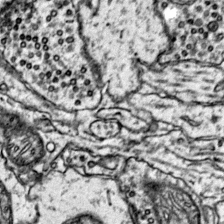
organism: Mouse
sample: Primary visual cortex